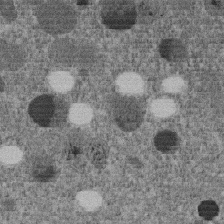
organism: C. elegans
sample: C. elegans embryo early stage